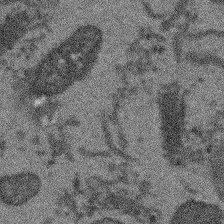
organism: Arabidopsis thaliana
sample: Root tip